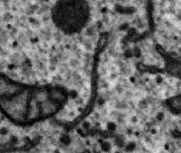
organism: Human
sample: HeLa cells